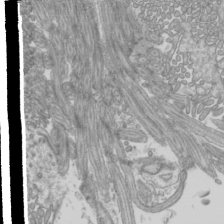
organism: Mouse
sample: Cilia; mouse epididymis